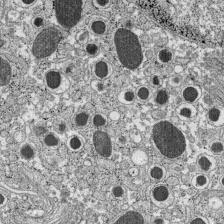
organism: C57BL Mouse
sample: Pancreatic islet